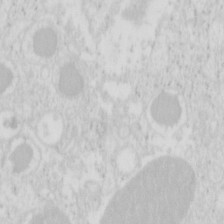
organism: Mouse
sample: Pancreas